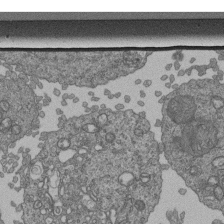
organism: Human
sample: Retinal organoid Rod and Cone cells